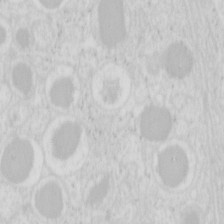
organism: Mouse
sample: Pancreas